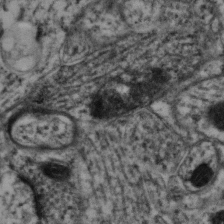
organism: Mouse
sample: Neocortex